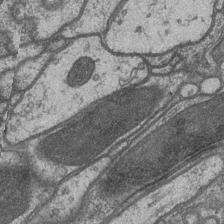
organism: Drosophila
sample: Optic medulla